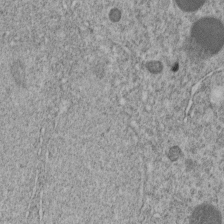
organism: C. elegans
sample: C. elegans embryo early stage